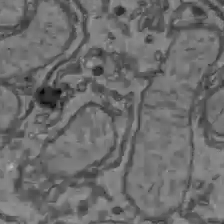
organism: C57BL Mouse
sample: Liver